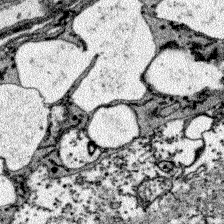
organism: Zebrafish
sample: Larval olfactory bulb